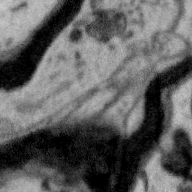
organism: Zebra finch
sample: Brain